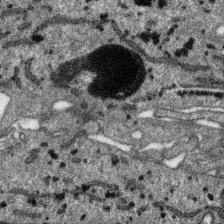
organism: Human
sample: Lung epithelial cells infected with SARS-CoV-2